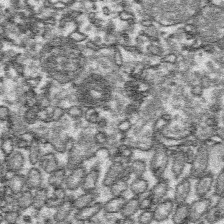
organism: Platynereis dumerilii